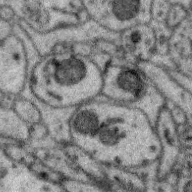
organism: Zebra finch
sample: Brain